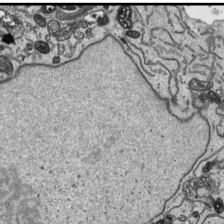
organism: Human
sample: Mitochondria in HCT116 cells